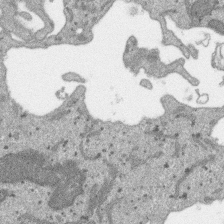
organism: Human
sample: Lung epithelial cells infected with SARS-CoV-2